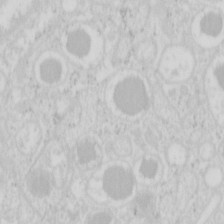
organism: Mouse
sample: Pancreas